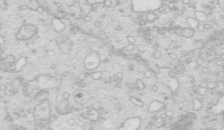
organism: Mouse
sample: Multiciliated cells